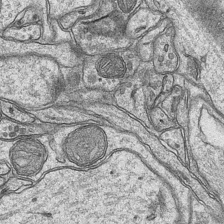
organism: Mouse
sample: CA1 Hippocampus